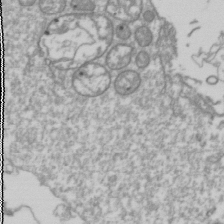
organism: Drosophila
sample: Cell division; meiosis; drosophila spermatocytes